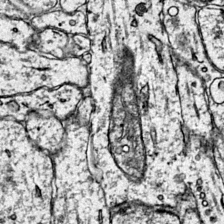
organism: Mouse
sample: Primary visual cortex